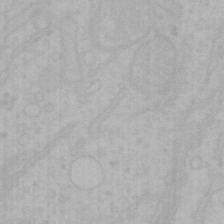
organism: Mouse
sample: Choroid plexus